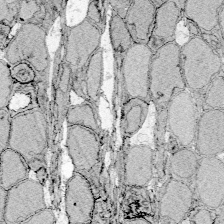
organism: Zebrafish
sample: Whole-Brain